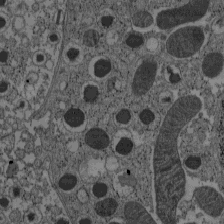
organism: C57BL Mouse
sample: Pancreatic islet